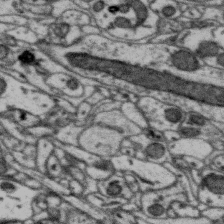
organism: Zebra finch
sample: Brain